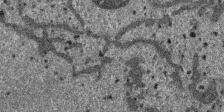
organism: Human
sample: Lung epithelial cells infected with SARS-CoV-2